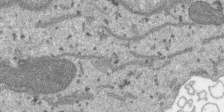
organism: Human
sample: Lung epithelial cells infected with SARS-CoV-2